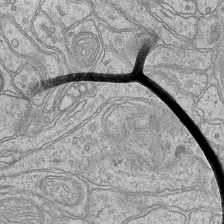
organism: Mouse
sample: CA1 Hippocampus